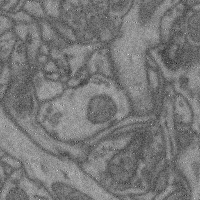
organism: Mouse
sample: Cerebral cortex